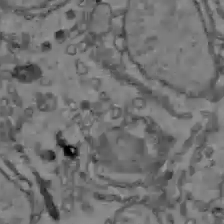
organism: C57BL Mouse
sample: Liver